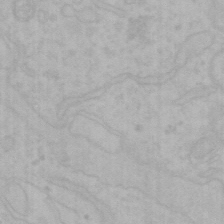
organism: Mouse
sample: Choroid plexus